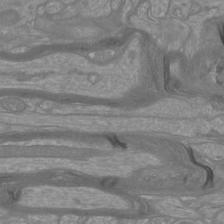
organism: Mouse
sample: Cortical neurons